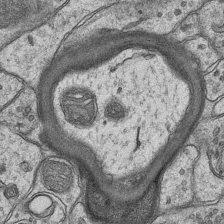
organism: Mouse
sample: CA1 Hippocampus